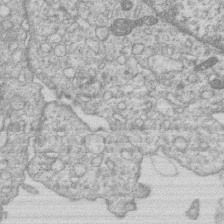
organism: Human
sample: Macrophage cells